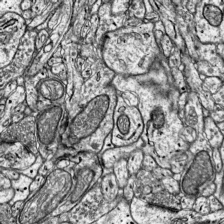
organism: Mouse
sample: Visual Cortex